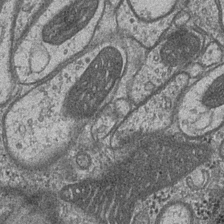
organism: Drosophila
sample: Optic medulla